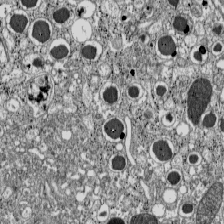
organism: C57BL Mouse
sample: Pancreatic islet